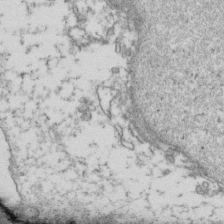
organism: Human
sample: Activated Jurkat CD4+ T cells